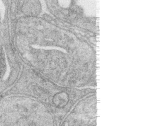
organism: Zebrafish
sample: synaptic ribbons in rod cells and cone cells